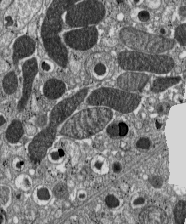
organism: C57BL Mouse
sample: Pancreatic islet